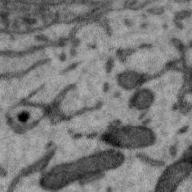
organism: Zebra finch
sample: Brain